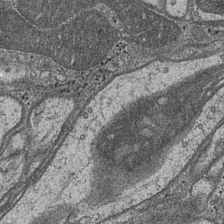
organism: Drosophila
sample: Optic medulla